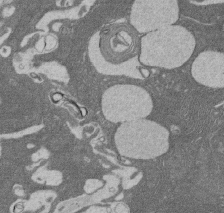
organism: Rat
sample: Salivary granule